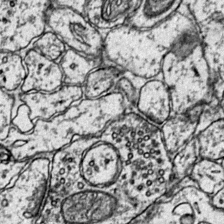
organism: Mouse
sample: Primary visual cortex